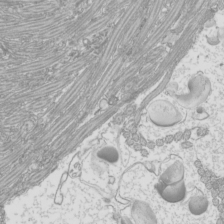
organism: Mouse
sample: Cilia; mouse epididymis